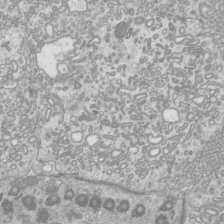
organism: Mouse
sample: Cilia; mouse epididymis